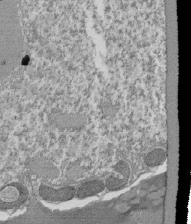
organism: Tetrahymena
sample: Cilia in tetrahymena